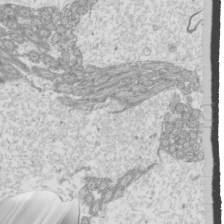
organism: Mouse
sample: Cilia; mouse epididymis